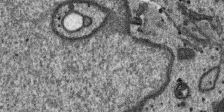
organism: Human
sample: Lung epithelial cells infected with SARS-CoV-2